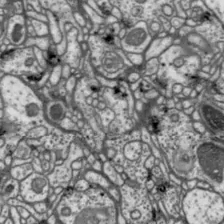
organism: Drosophila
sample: Protocerebral bridge